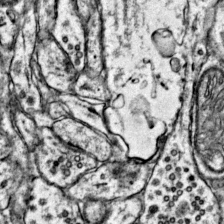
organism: Mouse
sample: Primary visual cortex